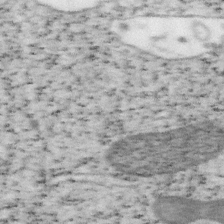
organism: Mouse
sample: OT-I killer T cells with ID8 ovarian cancer cells